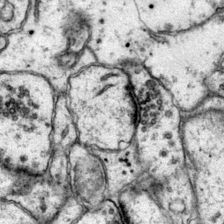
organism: Mouse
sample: Primary visual cortex